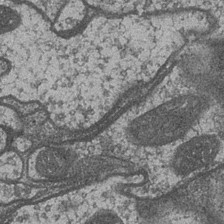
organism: Drosophila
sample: Optic medulla